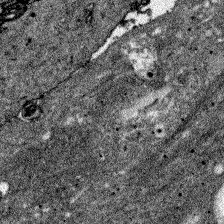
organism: Zebrafish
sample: Larval olfactory bulb